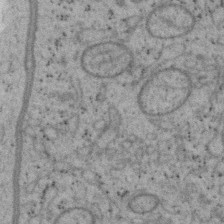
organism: Human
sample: HeLa cells